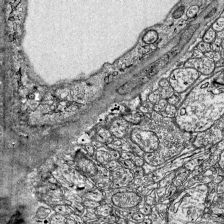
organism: Mouse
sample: Visual Cortex